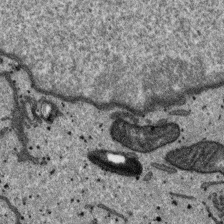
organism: Human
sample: Lung epithelial cells, uninfected (mock) control